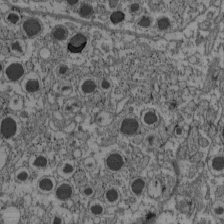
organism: C57BL Mouse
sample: Pancreatic islet